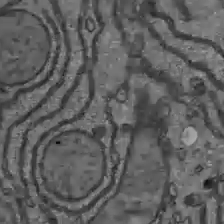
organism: C57BL Mouse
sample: Liver